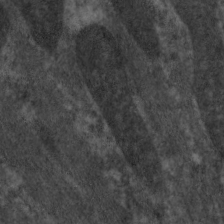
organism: C. elegans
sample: Pharynx